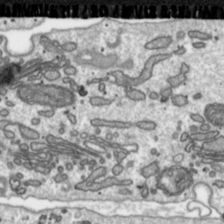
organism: Toxoplasma gondii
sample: Parasites in a vacuole inside a host cell